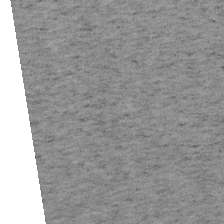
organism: Mouse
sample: OT-I killer T cells with ID8 ovarian cancer cells